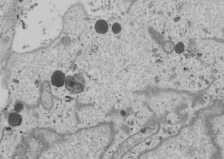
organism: Human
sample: Mitochondria in U2OS cells